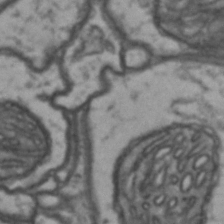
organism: Drosophila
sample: Brain